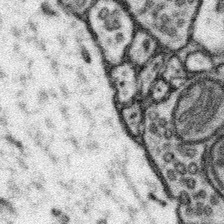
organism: Mouse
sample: Somatosensory cortex neuropil